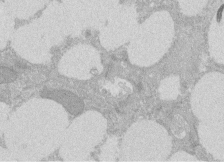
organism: Rat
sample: Salivary granule